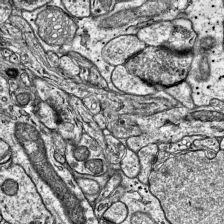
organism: Mouse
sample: Visual Cortex